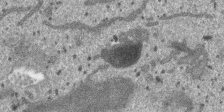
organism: Human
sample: Lung epithelial cells infected with SARS-CoV-2